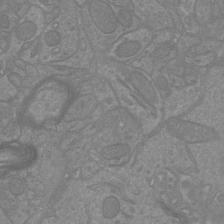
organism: Mouse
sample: Cortical neurons